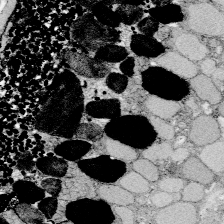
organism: Zebrafish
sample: Whole-Brain